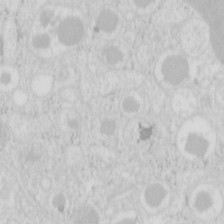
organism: Mouse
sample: Pancreas